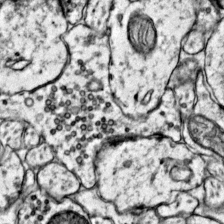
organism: Mouse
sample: Primary visual cortex